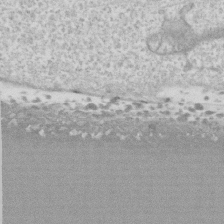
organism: Human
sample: CRL-1474